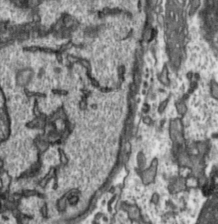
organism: Toxoplasma gondii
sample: Parasites in a vacuole inside a host cell